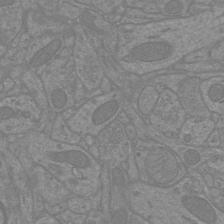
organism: Mouse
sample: Cortical neurons